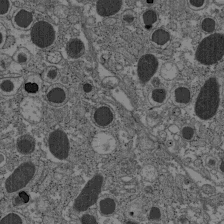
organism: C57BL Mouse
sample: Pancreatic islet